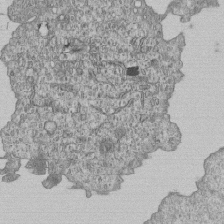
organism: Human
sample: MDA-MB-231 cells